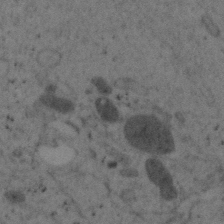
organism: Human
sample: HeLa cells